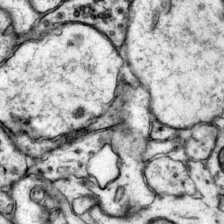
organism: Mouse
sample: Primary visual cortex